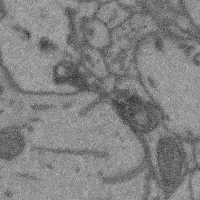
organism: Mouse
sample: Cerebral cortex